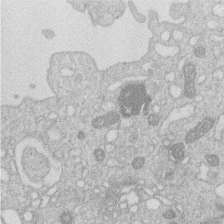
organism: Human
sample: Macrophage cells